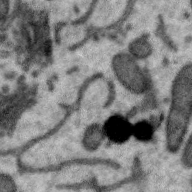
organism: Zebra finch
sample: Brain